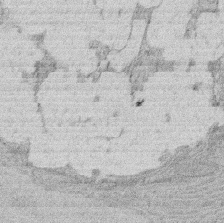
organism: Rat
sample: Salivary granule